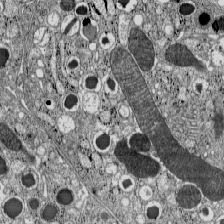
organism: C57BL Mouse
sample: Pancreatic islet